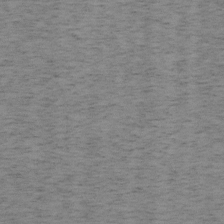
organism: Mouse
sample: OT-I killer T cells with ID8 ovarian cancer cells